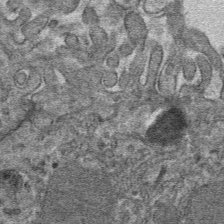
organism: Mouse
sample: Mouse hepatocytes